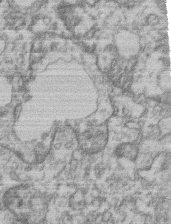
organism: Mouse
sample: T cell stromal cell synapse